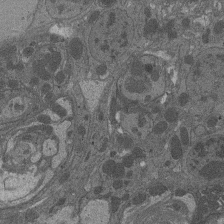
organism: Drosophila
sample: Antenna